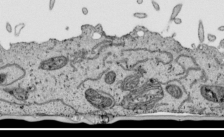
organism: Human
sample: Mitochondria in HCT116 cells